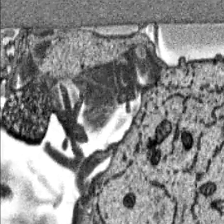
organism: Human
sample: HeLa cells